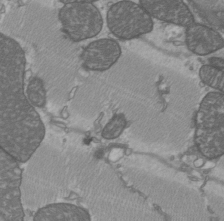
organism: C57BL Mouse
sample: Heart